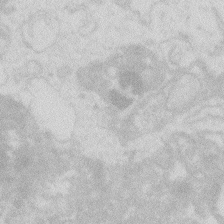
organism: Zebrafish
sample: Macrophage